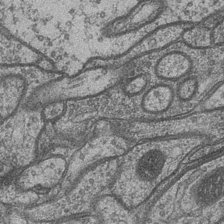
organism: Drosophila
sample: Optic medulla